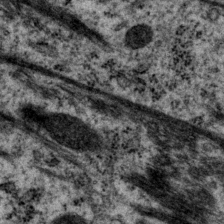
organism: P. pacificus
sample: Pharynx